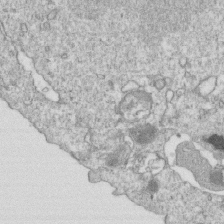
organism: Mouse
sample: Activated OT-1 CD8+ T cells